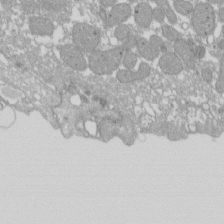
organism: Xenopus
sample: Cilia; centrioles in frog embryo cells